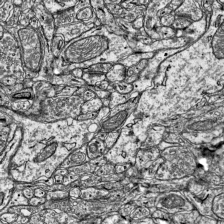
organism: Mouse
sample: Visual Cortex